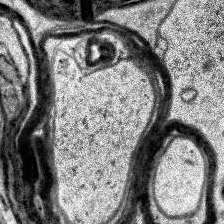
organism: Human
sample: Temporal Lobe